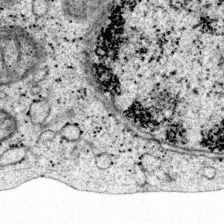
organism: Human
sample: HeLa cells